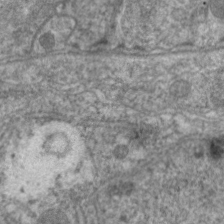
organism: C. elegans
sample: Pharynx